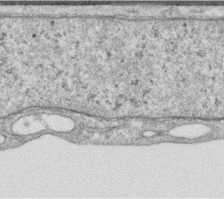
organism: Human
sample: Centriole in RPE cells